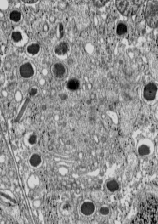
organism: C57BL Mouse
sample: Pancreatic islet